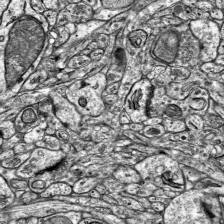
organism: Mouse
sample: Visual Cortex